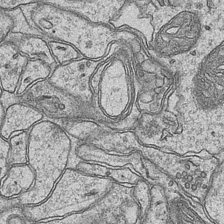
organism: Mouse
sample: CA1 Hippocampus